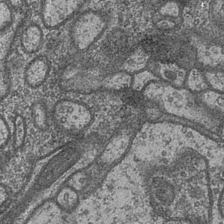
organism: Drosophila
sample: Optic medulla